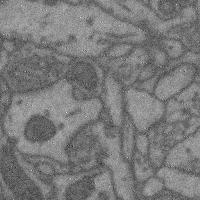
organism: Mouse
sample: Cerebral cortex